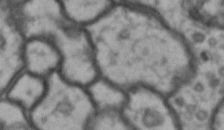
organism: Drosophila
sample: Brain